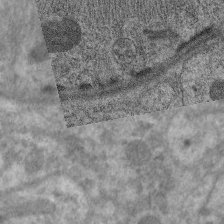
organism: C. elegans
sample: Pharynx